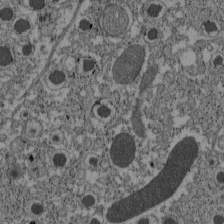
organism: C57BL Mouse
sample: Pancreatic islet